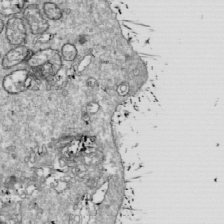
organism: Drosophila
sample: Cell division; meiosis; drosophila spermatocytes